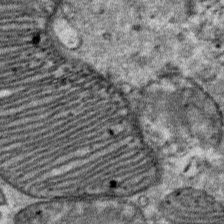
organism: Mouse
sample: Mouse Salivary gland